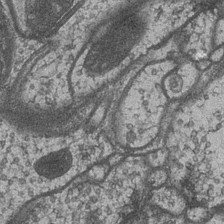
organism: Drosophila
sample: Optic medulla